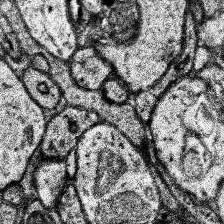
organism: Human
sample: Temporal Lobe